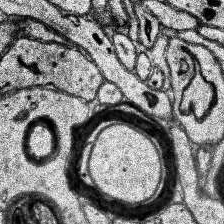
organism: Human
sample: Temporal Lobe